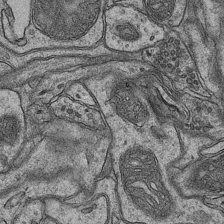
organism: Mouse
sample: CA1 Hippocampus